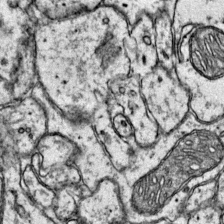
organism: Mouse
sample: Primary visual cortex